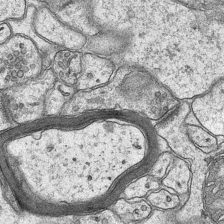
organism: Mouse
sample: CA1 Hippocampus